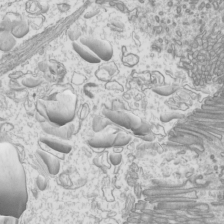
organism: Mouse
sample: Cilia; mouse epididymis